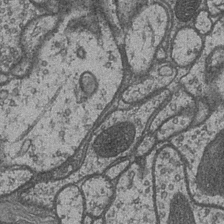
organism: Drosophila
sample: Optic medulla